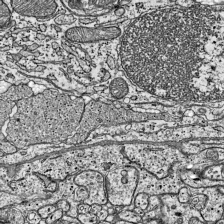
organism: Mouse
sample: Visual Cortex